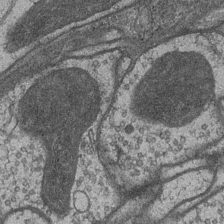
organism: Drosophila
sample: Optic medulla